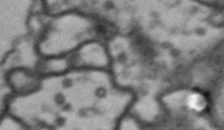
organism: Drosophila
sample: Brain